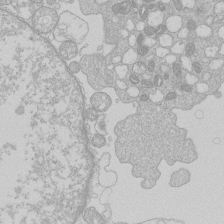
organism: Human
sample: Macrophage cells